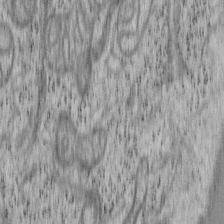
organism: Human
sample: HeLa cells